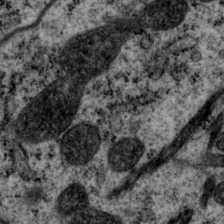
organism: P. pacificus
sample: Pharynx